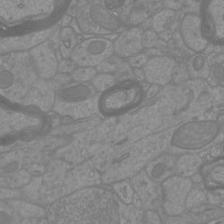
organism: Mouse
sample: Cortical neurons